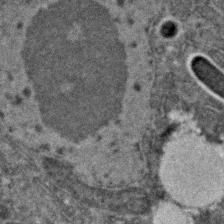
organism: C. elegans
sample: C. elegans embryo